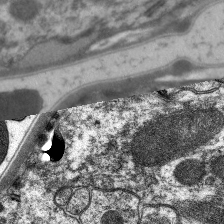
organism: C. elegans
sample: Pharynx